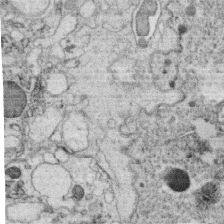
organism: C. elegans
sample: C. elegans oocyte; sperm cells